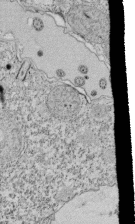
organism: Tetrahymena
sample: Cilia in tetrahymena